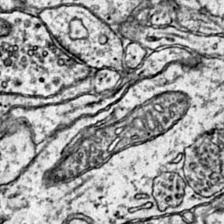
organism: Mouse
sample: Primary visual cortex